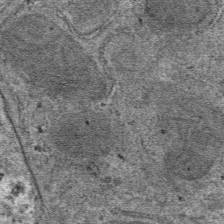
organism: Mouse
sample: Mouse hepatocytes